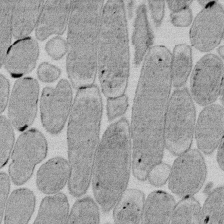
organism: E. coli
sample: Bacterial nucleoid